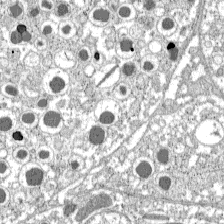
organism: C57BL Mouse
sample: Pancreatic islet